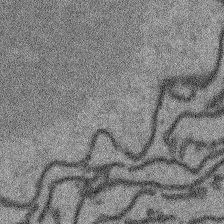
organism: Arabidopsis thaliana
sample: Root tip